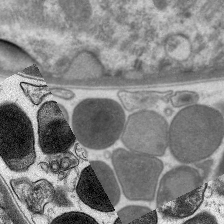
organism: C. elegans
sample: Pharynx